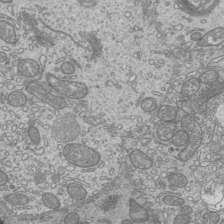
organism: Mouse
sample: Cilia; mouse epididymis